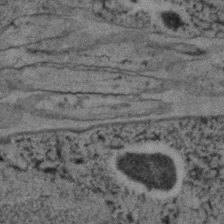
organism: C. elegans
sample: C. elegans embryo